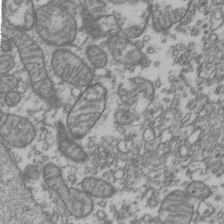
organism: Human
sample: Activated Jurkat CD4+ T cells